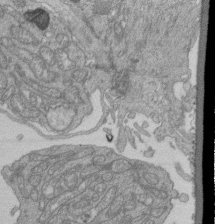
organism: Human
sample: Retinal organoid Rod and Cone cells